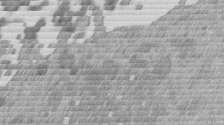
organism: Mouse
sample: Dividing mouse embryo 1 cell stage